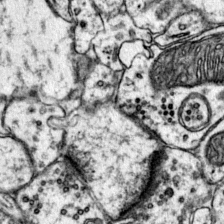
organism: Mouse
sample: Primary visual cortex